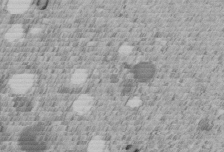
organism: C. elegans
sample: C. elegans embryo early stage